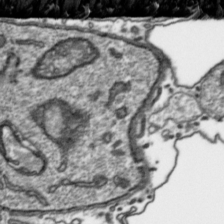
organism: Toxoplasma gondii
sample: Parasites in a vacuole inside a host cell